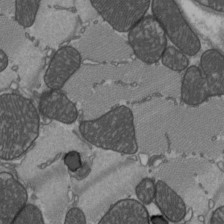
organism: C57BL Mouse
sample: Heart